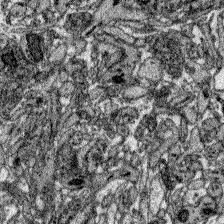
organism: Zebrafish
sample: Larval olfactory bulb